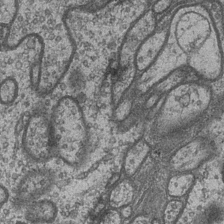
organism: Drosophila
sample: Optic medulla